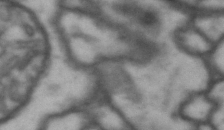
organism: Drosophila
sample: Brain